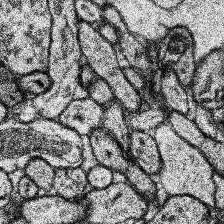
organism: Human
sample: Temporal Lobe